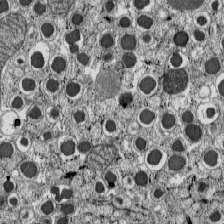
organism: C57BL Mouse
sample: Pancreatic islet